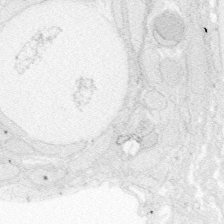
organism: Zebrafish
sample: Whole-Brain